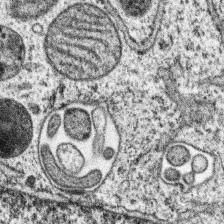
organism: Human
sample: HeLa cells